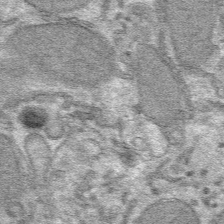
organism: Mouse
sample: Mouse hepatocytes